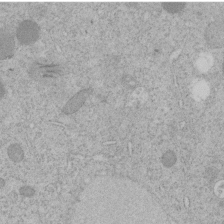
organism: C. elegans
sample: C. elegans embryo early stage